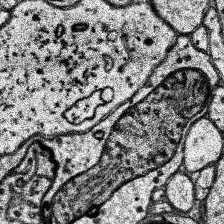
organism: Human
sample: Temporal Lobe